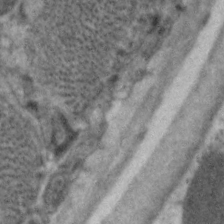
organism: C. elegans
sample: Pharynx